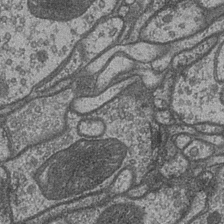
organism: Drosophila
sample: Optic medulla